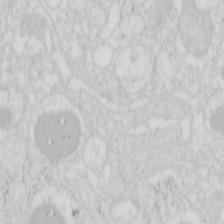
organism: Mouse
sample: Pancreas